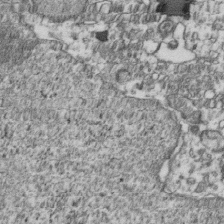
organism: Human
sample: Activated Jurkat CD4+ T cells